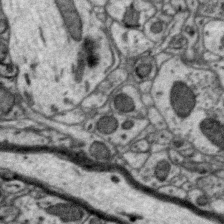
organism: Zebra finch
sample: Brain